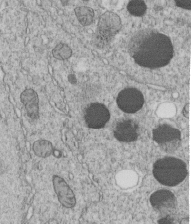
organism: C. elegans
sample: C. elegans embryo early stage